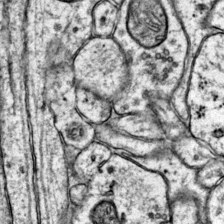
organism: Mouse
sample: Primary visual cortex